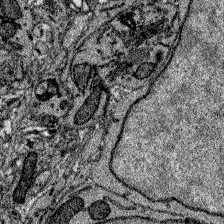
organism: Zebrafish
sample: Larval olfactory bulb